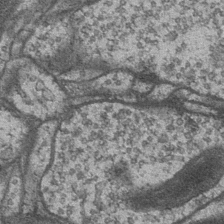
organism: Drosophila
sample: Optic medulla